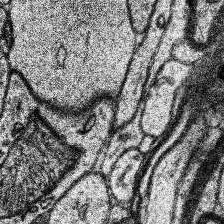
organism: Human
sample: Temporal Lobe